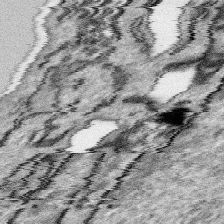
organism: Human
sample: HeLa cells